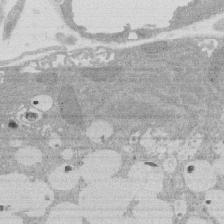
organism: Rat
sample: Salivary granule